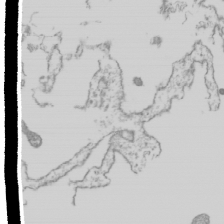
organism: Mouse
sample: Cilia; mouse epididymis